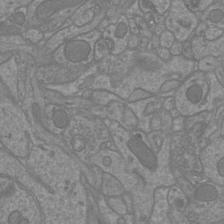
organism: Mouse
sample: Cortical neurons